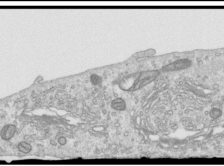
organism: Human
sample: Centriole in RPE cells